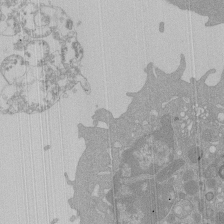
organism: Mouse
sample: Activated Pmel transgenic CD8+ T Cells